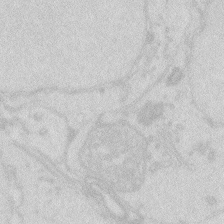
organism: Zebrafish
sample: Macrophage